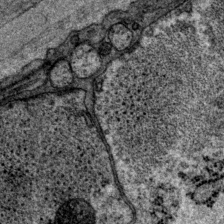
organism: P. pacificus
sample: Pharynx